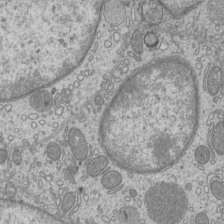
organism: Mouse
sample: Cilia; mouse epididymis